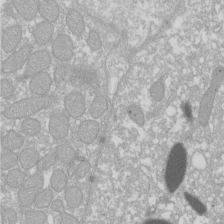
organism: Xenopus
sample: Cilia; centrioles in frog embryo cells